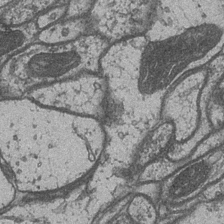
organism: Drosophila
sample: Optic medulla